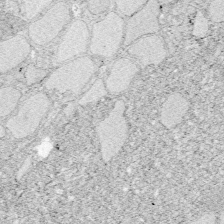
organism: Zebrafish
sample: Whole-Brain